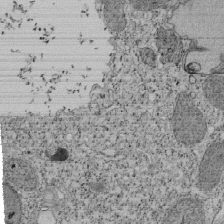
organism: Tetrahymena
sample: Cilia in tetrahymena